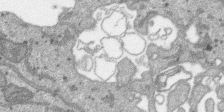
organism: Human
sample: Lung epithelial cells infected with SARS-CoV-2